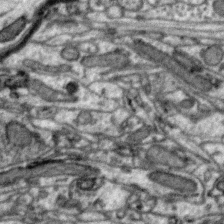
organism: Zebra finch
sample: Brain